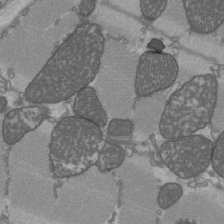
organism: C57BL Mouse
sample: Heart